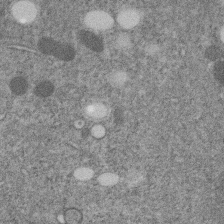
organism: C. elegans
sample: C. elegans embryo early stage